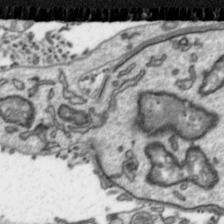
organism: Toxoplasma gondii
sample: Parasites in a vacuole inside a host cell